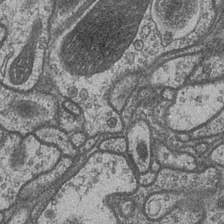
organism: Drosophila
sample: Optic medulla